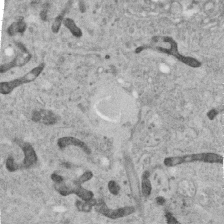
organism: Human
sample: Centriole in RPE cells